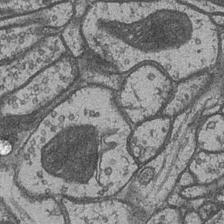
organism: Drosophila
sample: Optic medulla